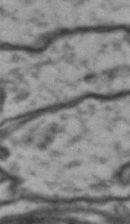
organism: Drosophila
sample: Brain